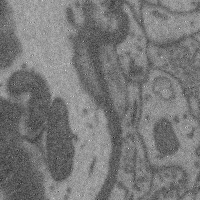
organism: Mouse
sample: Cerebral cortex